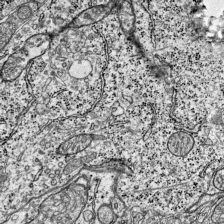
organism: Mouse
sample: Visual Cortex